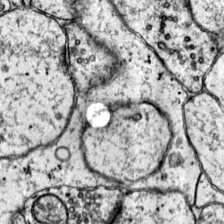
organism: Mouse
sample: Primary visual cortex